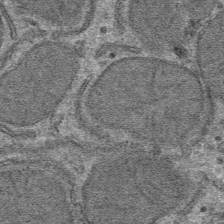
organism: Mouse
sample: Mouse hepatocytes